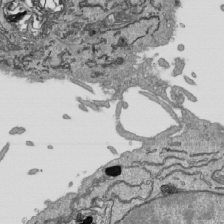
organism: Human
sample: Mitochondria in HCT116 cells